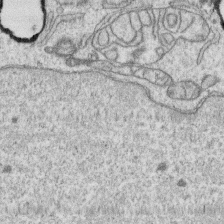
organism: Human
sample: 1205lu cells